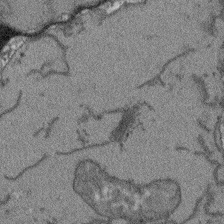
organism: Arabidopsis thaliana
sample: Root tip